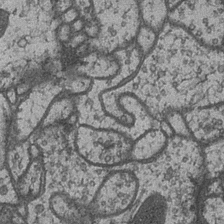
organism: Drosophila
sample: Optic medulla